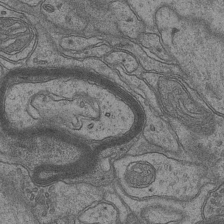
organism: Mouse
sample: CA1 Hippocampus